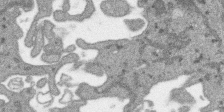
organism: Human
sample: Lung epithelial cells infected with SARS-CoV-2